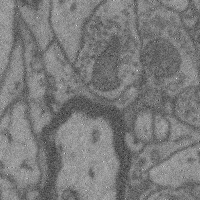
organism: Mouse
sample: Cerebral cortex